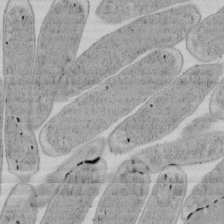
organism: E. coli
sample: Bacterial nucleoid